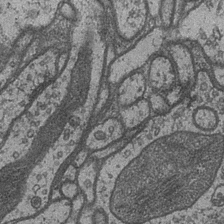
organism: Drosophila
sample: Optic medulla